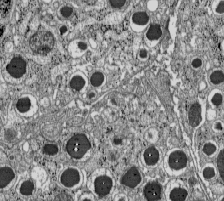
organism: C57BL Mouse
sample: Pancreatic islet